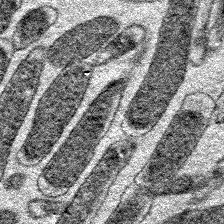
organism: E. coli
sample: E. Coli Bacteria